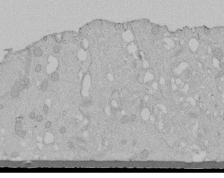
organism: Human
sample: Melanocyte Keratinocyte synapse skin construct